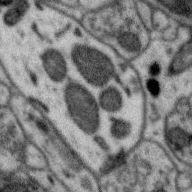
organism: Zebra finch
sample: Brain